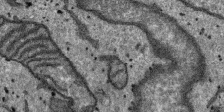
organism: Human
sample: Lung epithelial cells, uninfected (mock) control